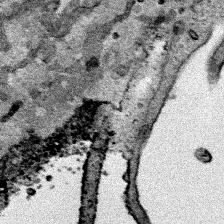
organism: Human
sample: Mitochondria in HCT116 cells